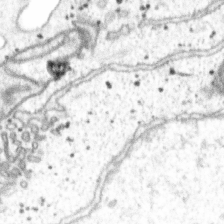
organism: Human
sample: HeLa cells